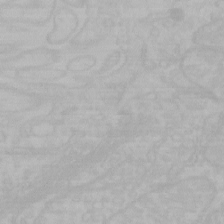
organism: Mouse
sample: Choroid plexus